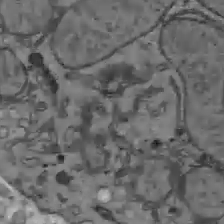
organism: C57BL Mouse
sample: Liver